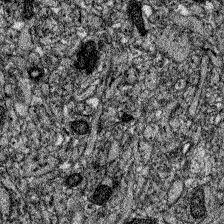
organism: Zebrafish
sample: Larval olfactory bulb